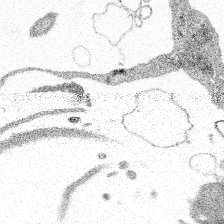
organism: Spongilla lacustris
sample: Multiple